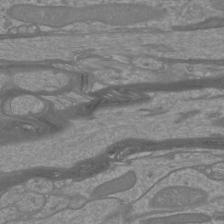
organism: Mouse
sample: Cortical neurons